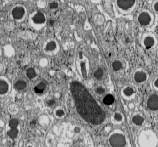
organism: C57BL Mouse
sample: Pancreatic islet